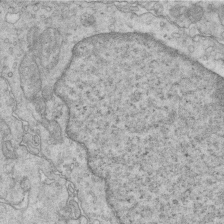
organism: Mouse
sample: Multiciliated cells